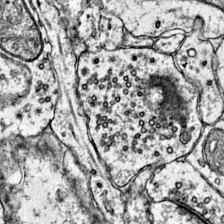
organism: Mouse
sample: Primary visual cortex